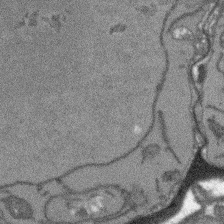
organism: Arabidopsis thaliana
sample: Root tip